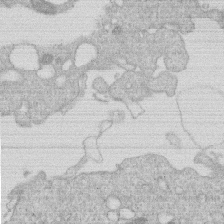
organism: Human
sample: Macrophage cells